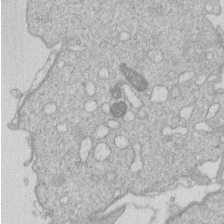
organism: Human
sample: Macrophage cells